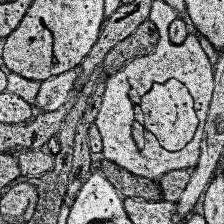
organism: Human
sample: Temporal Lobe